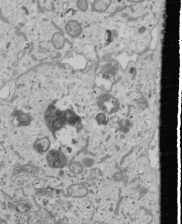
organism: Human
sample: Mitochondria in U2OS cells